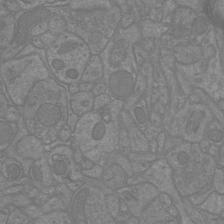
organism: Mouse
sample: Cortical neurons